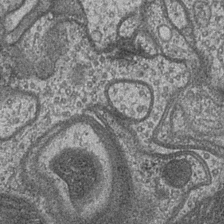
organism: Drosophila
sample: Optic medulla